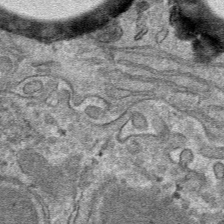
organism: Mouse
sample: Mouse hepatocytes